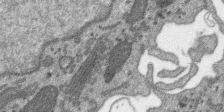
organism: Human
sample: Lung epithelial cells infected with SARS-CoV-2